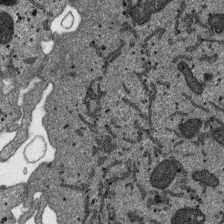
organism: Human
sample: Lung epithelial cells infected with SARS-CoV-2